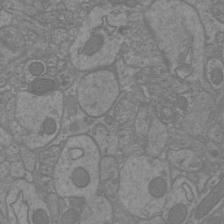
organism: Mouse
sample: Cortical neurons